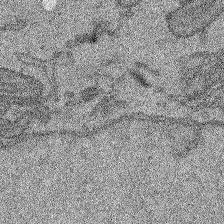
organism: Human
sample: HeLa cells